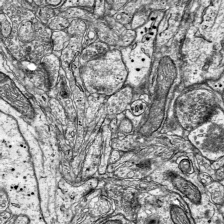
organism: Mouse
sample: Visual Cortex